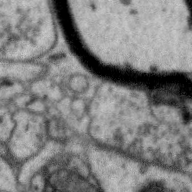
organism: Zebra finch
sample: Brain